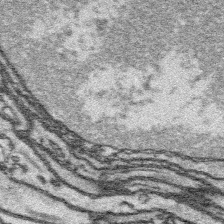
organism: Platynereis dumerilii